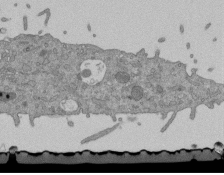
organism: Mouse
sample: ED-1 cell nuclei; centrioles